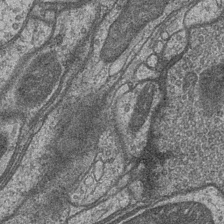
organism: Drosophila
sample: Optic medulla